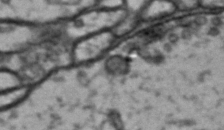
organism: Drosophila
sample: Brain